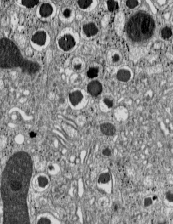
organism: C57BL Mouse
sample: Pancreatic islet